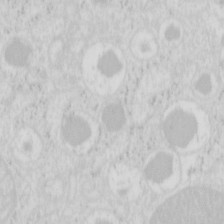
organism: Mouse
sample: Pancreas